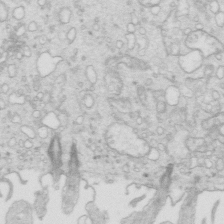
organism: Mouse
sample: Multiciliated cells